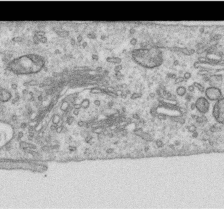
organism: Human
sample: Centriole in RPE cells